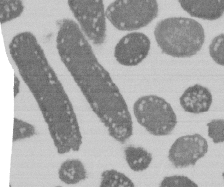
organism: E. coli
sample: Bacterial nucleoid